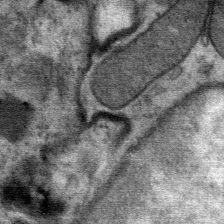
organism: Mouse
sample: Mouse Salivary gland